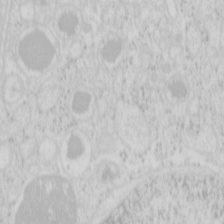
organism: Mouse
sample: Pancreas